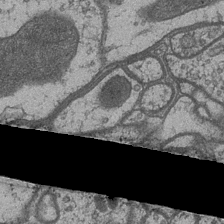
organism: Drosophila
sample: Optic medulla